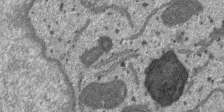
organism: Human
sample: Lung epithelial cells infected with SARS-CoV-2